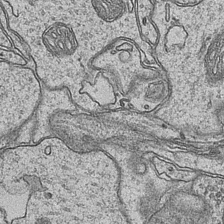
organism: Mouse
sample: CA1 Hippocampus